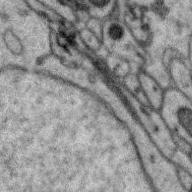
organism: Zebra finch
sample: Brain